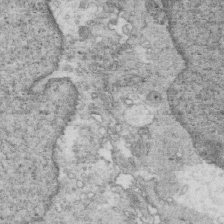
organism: Mouse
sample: Multiciliated cells